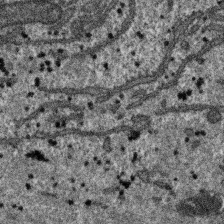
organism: Human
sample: Lung epithelial cells infected with SARS-CoV-2